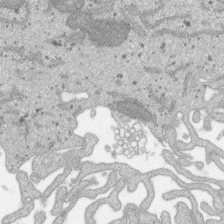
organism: Human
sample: Lung epithelial cells infected with SARS-CoV-2